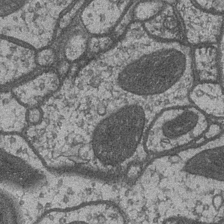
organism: Drosophila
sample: Optic medulla